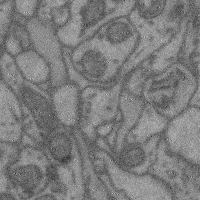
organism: Mouse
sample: Cerebral cortex